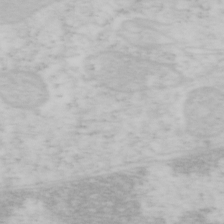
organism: Mouse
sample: OT-I killer T cells with ID8 ovarian cancer cells